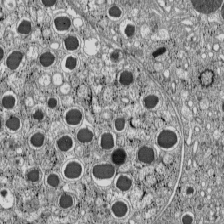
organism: C57BL Mouse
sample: Pancreatic islet